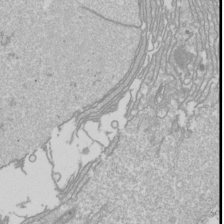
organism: Drosophila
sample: Cell division; meiosis; drosophila spermatocytes